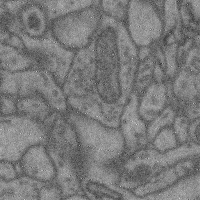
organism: Mouse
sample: Cerebral cortex